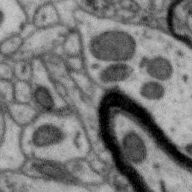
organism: Zebra finch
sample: Brain